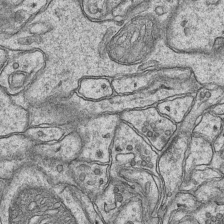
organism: Mouse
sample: CA1 Hippocampus